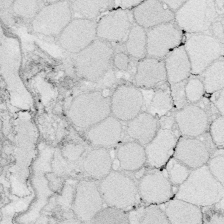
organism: Zebrafish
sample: Whole-Brain